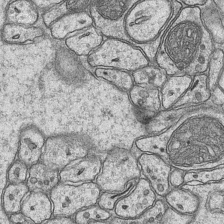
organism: Mouse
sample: CA1 Hippocampus